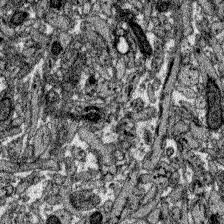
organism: Zebrafish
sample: Larval olfactory bulb